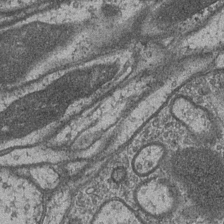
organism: Drosophila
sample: Optic medulla